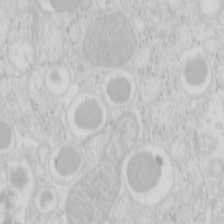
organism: Mouse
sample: Pancreas